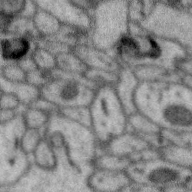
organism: Zebra finch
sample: Brain